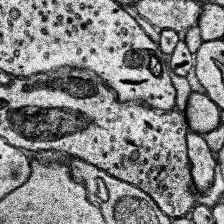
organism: Human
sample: Temporal Lobe